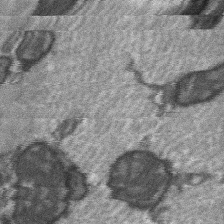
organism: C57BL Mouse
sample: Soleus